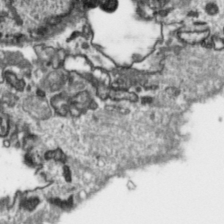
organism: Toxoplasma gondii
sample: Parasites in a vacuole inside a host cell